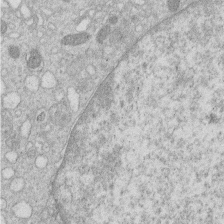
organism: Human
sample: Macrophage cells